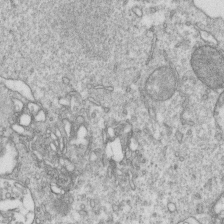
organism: Mouse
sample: Activated OT-1 CD8+ T cells